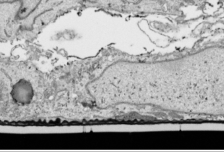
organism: Human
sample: Mitochondria in HCT116 cells